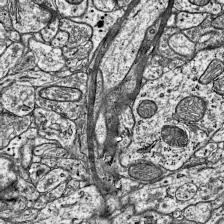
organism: Mouse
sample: Visual Cortex